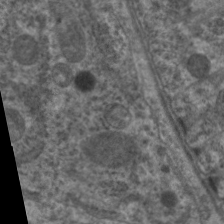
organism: C. elegans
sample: Pharynx